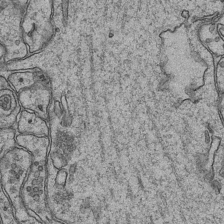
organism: Mouse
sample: CA1 Hippocampus